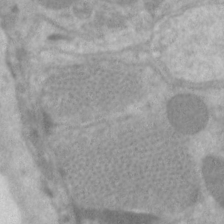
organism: C. elegans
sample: Pharynx